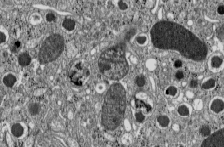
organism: C57BL Mouse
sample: Pancreatic islet